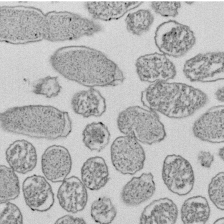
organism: E. coli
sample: Bacterial nucleoid